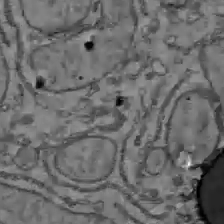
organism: C57BL Mouse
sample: Liver